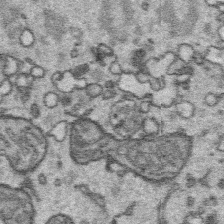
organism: Platynereis dumerilii